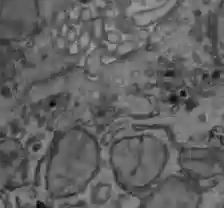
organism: C57BL Mouse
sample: Liver